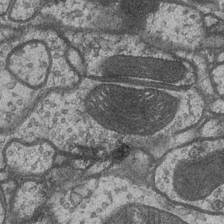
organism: Drosophila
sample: Optic medulla